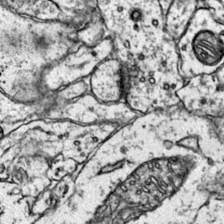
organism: Mouse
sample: Primary visual cortex